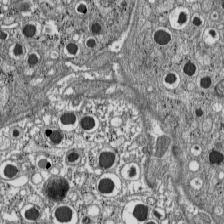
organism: C57BL Mouse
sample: Pancreatic islet